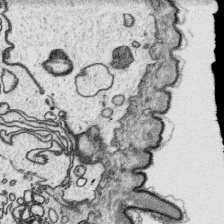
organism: Platynereis dumerilii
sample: Parapodia